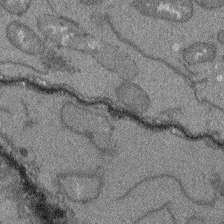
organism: Arabidopsis thaliana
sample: Root tip